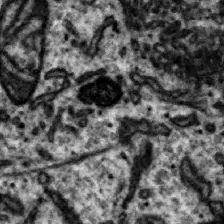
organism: Human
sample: HeLa cells